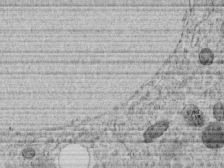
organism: C. elegans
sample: C. elegans embryo early stage